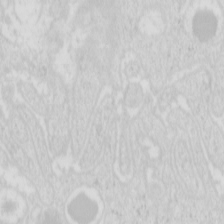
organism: Mouse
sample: Pancreas